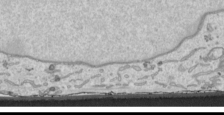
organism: Human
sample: Mitochondria in HCT116 cells